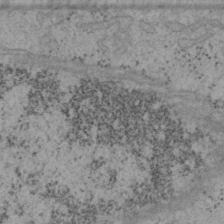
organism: Human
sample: HeLa cells